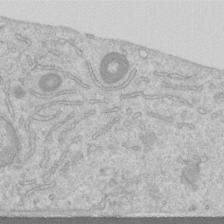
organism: Human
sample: Centriole in RPE cells